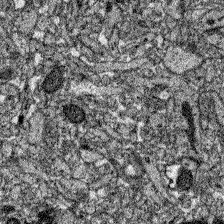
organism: Zebrafish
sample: Larval olfactory bulb